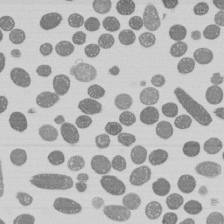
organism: E. coli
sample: Bacterial nucleoid